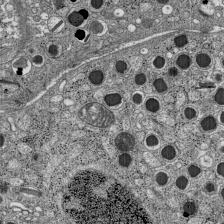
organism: C57BL Mouse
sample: Pancreatic islet